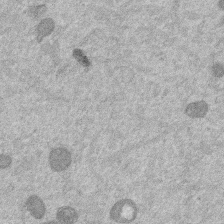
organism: Mouse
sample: Dividing mouse embryo 1 cell stage